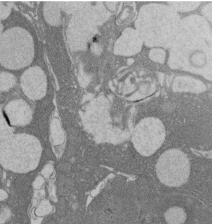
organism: Rat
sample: Salivary granule